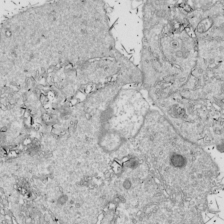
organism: Drosophila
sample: Cell division; meiosis; drosophila spermatocytes